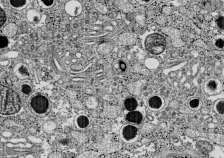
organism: C57BL Mouse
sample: Pancreatic islet